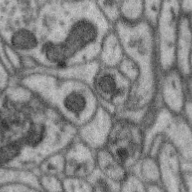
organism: Zebra finch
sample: Brain